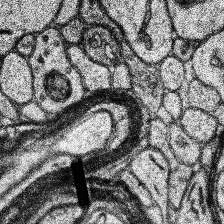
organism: Human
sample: Temporal Lobe